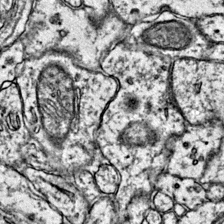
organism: Mouse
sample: Primary visual cortex